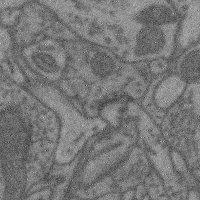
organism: Mouse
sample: Cerebral cortex